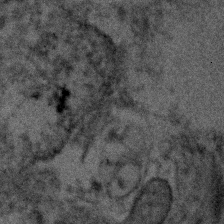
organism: Human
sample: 1205lu cells